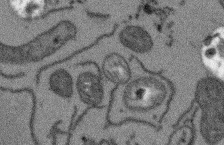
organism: Arabidopsis thaliana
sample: Root tip